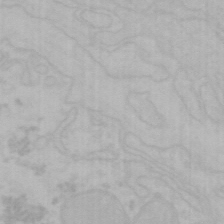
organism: Mouse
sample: Choroid plexus